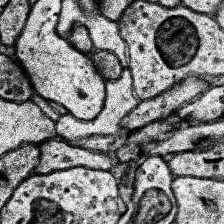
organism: Human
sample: Temporal Lobe